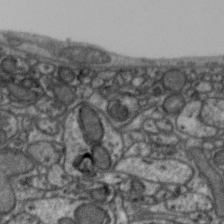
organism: Zebra finch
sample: Brain